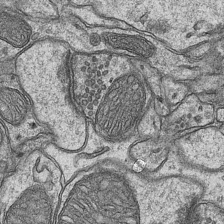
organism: Mouse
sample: CA1 Hippocampus